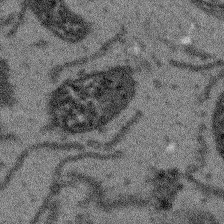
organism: Arabidopsis thaliana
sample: Root tip